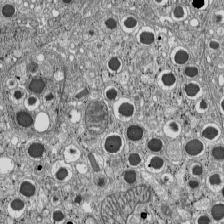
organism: C57BL Mouse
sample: Pancreatic islet